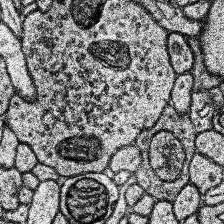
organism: Human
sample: Temporal Lobe